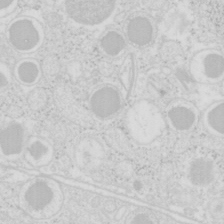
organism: Mouse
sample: Pancreas